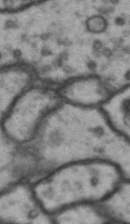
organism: Drosophila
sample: Brain